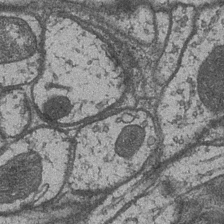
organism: Drosophila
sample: Optic medulla